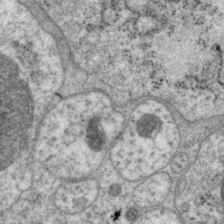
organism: P. pacificus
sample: Pharynx